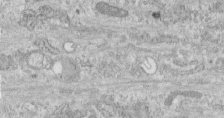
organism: Human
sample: Centriole in fibroblast cells